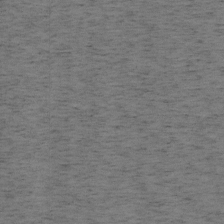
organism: Mouse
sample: OT-I killer T cells with ID8 ovarian cancer cells